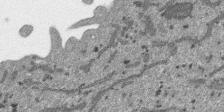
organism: Human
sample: Lung epithelial cells infected with SARS-CoV-2